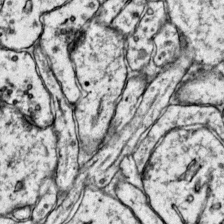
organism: Mouse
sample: Primary visual cortex